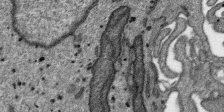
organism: Human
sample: Lung epithelial cells, uninfected (mock) control